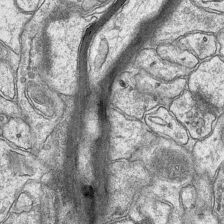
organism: Mouse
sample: CA1 Hippocampus